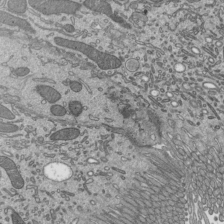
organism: Mouse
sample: Mouse epididymis efferent ductule cilia